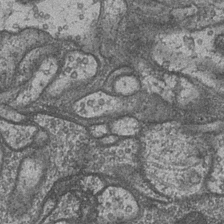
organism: Drosophila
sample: Optic medulla